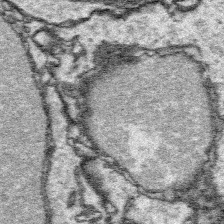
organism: Platynereis dumerilii